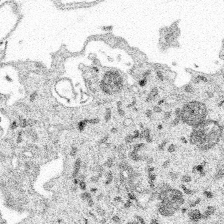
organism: Spongilla lacustris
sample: Multiple